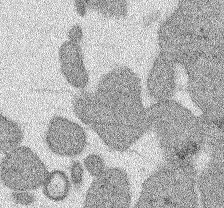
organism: Human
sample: HeLa cells